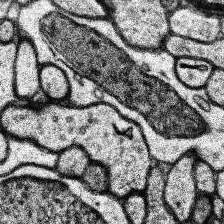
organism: Human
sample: Temporal Lobe